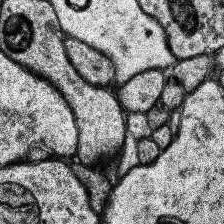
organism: Human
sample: Temporal Lobe